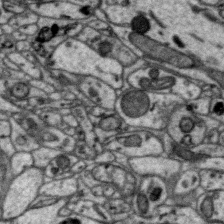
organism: Zebra finch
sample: Brain